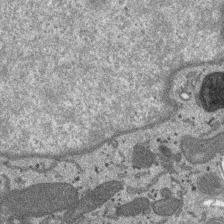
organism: Human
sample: Lung epithelial cells infected with SARS-CoV-2